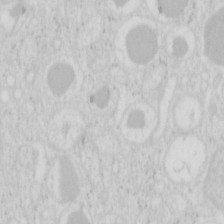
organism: Mouse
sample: Pancreas